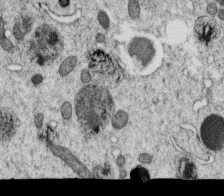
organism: C. elegans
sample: C. elegans oocyte; sperm cells